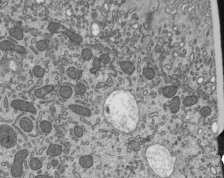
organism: Mouse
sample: Mouse epididymis efferent ductule cilia